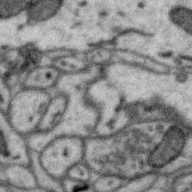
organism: Zebra finch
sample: Brain